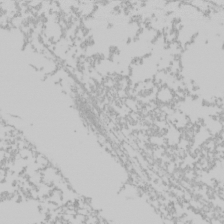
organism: Mouse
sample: Cancer cell death in ED-1 cells